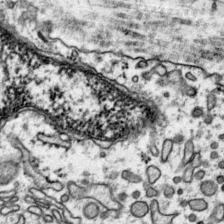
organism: Mouse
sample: Primary visual cortex